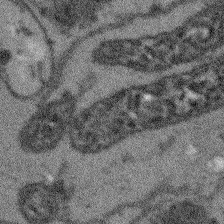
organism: Arabidopsis thaliana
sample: Root tip